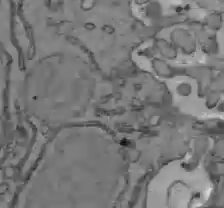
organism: C57BL Mouse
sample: Liver